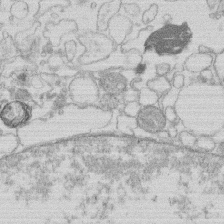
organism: Human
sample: Macrophage cells